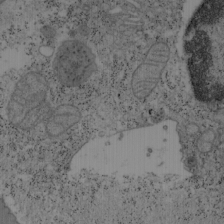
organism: Mouse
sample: OT-I killer T cells with ID8 ovarian cancer cells